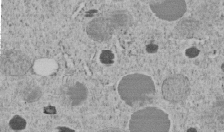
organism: C. elegans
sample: C. elegans embryo early stage